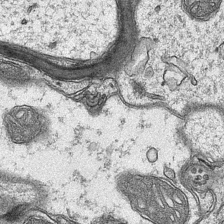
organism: Mouse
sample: CA1 Hippocampus